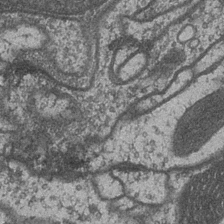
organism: Drosophila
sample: Optic medulla